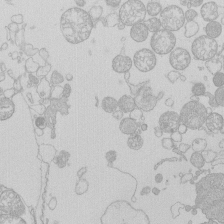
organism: Human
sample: Macrophage cells